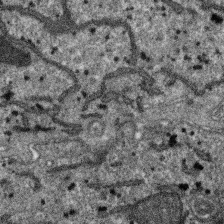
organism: Human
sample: Lung epithelial cells infected with SARS-CoV-2